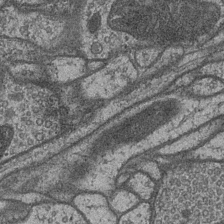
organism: Drosophila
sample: Optic medulla